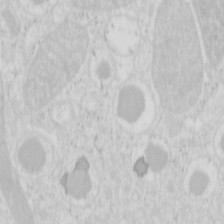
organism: Mouse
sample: Pancreas